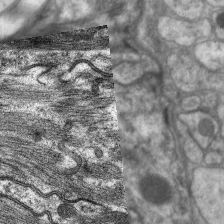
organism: C. elegans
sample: Pharynx